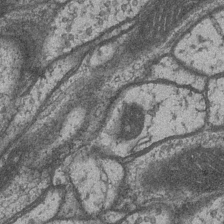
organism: Drosophila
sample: Optic medulla